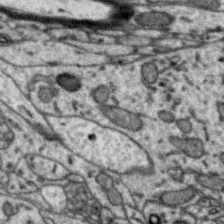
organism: Zebra finch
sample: Brain